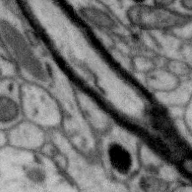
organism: Zebra finch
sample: Brain